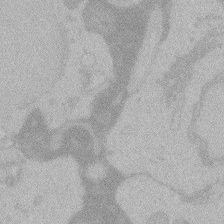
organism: Zebrafish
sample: Macrophage infected with Toxoplasma gondii